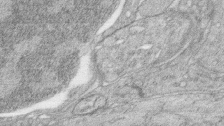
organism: Zebrafish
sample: synaptic ribbons in rod cells and cone cells